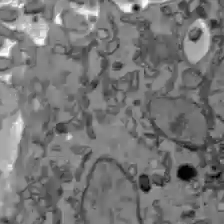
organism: C57BL Mouse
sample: Liver